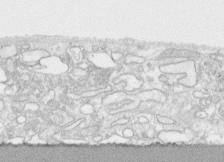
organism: Human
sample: CRL-1474